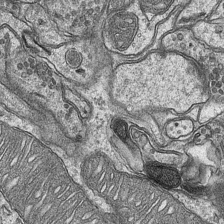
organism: Mouse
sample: CA1 Hippocampus